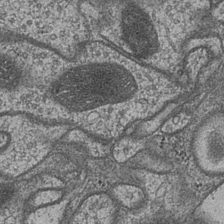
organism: Drosophila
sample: Optic medulla